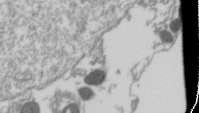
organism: Drosophila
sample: Cell division; meiosis; drosophila spermatocytes